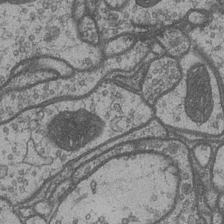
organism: Drosophila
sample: Optic medulla